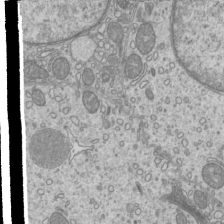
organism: Mouse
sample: Cilia; mouse epididymis